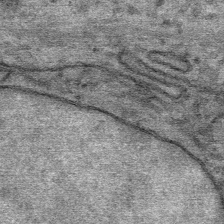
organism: Mouse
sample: Mouse Salivary gland